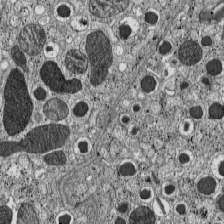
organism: C57BL Mouse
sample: Pancreatic islet